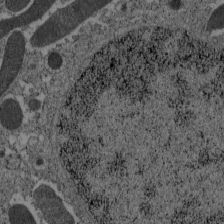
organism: C57BL Mouse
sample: Pancreatic islet